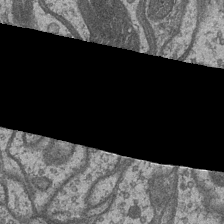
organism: Drosophila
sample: Optic medulla